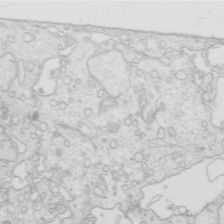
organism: Mouse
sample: Multiciliated cells